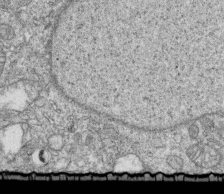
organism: Human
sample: HeLa cell HIV synapse